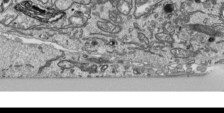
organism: Human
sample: Mitochondria in HCT116 cells